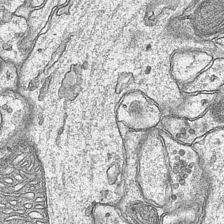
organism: Mouse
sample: CA1 Hippocampus